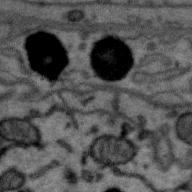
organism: Zebra finch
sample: Brain